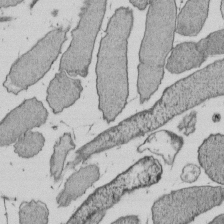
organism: E. coli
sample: Bacterial nucleoid